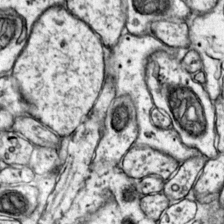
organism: Mouse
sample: Primary visual cortex